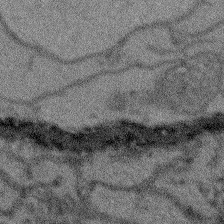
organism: Arabidopsis thaliana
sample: Root tip